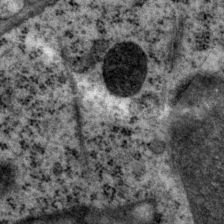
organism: P. pacificus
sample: Pharynx